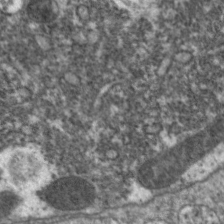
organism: C. elegans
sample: Pharynx